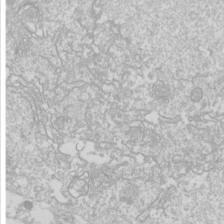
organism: Drosophila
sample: Cell division; meiosis; drosophila spermatocytes